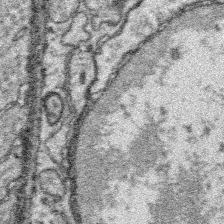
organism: Platynereis dumerilii